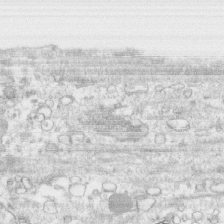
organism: Human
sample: CRL-1474